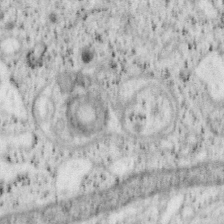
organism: Mouse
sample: OT-I killer T cells with ID8 ovarian cancer cells